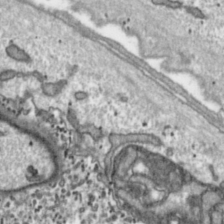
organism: Toxoplasma gondii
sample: Parasites in a vacuole inside a host cell